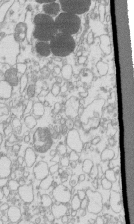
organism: Mouse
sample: Macrophages